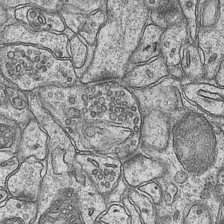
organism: Mouse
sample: CA1 Hippocampus